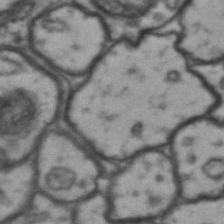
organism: Drosophila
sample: Brain